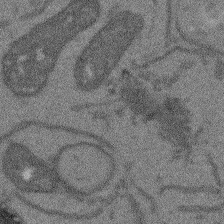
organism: Arabidopsis thaliana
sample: Root tip